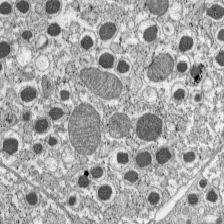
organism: C57BL Mouse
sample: Pancreatic islet